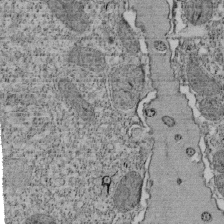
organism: Tetrahymena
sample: Cilia in tetrahymena